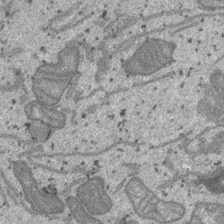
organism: Human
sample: Lung epithelial cells infected with SARS-CoV-2